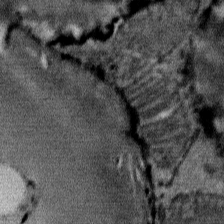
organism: Mouse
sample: Mouse Salivary gland